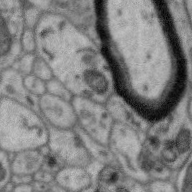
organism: Zebra finch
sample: Brain